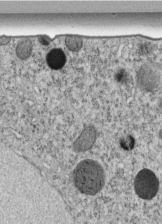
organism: C. elegans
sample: C. elegans embryo early stage